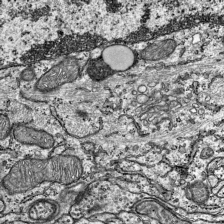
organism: Mouse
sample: Visual Cortex